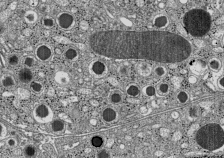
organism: C57BL Mouse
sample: Pancreatic islet